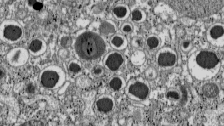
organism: C57BL Mouse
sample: Pancreatic islet